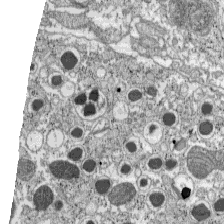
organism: C57BL Mouse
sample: Pancreatic islet